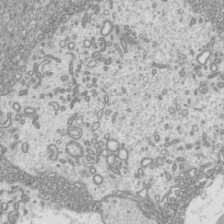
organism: Mouse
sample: Cilia; mouse epididymis